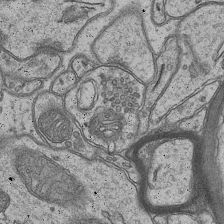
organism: Mouse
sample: CA1 Hippocampus